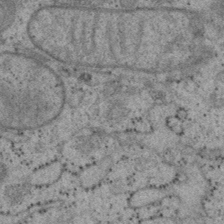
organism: Human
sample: HeLa cells